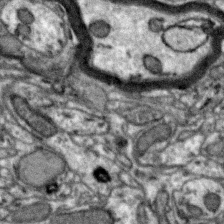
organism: Zebra finch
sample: Brain